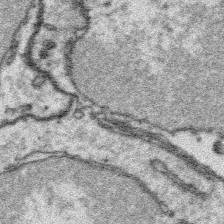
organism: Platynereis dumerilii